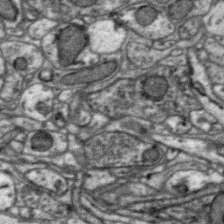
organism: Zebra finch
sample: Brain